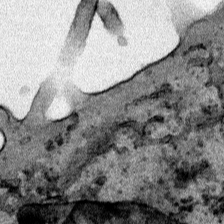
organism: Human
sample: Mitochondria in HCT116 cells